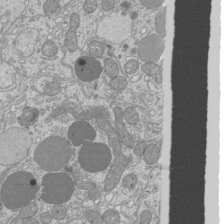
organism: Mouse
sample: Cilia; mouse epididymis